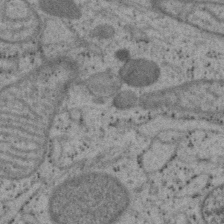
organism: Human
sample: HeLa cells